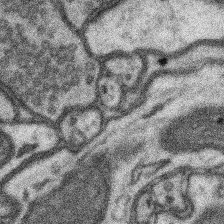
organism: Mouse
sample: Somatosensory cortex neuropil